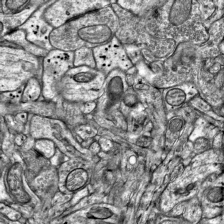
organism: Mouse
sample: Visual Cortex